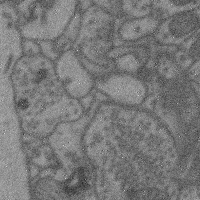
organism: Mouse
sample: Cerebral cortex